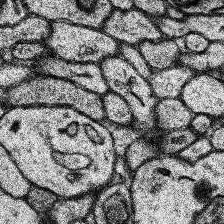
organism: Human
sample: Temporal Lobe